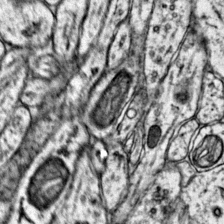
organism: Mouse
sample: Primary visual cortex